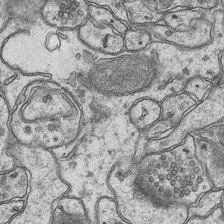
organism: Mouse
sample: CA1 Hippocampus